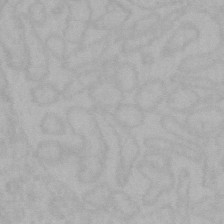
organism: Mouse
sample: Choroid plexus